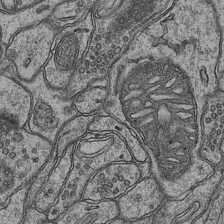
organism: Mouse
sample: CA1 Hippocampus